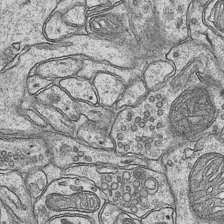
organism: Mouse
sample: CA1 Hippocampus